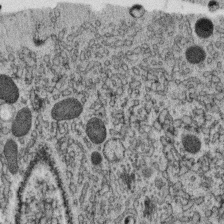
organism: C. elegans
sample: C. elegans oocyte; sperm cells